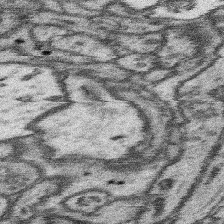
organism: Mouse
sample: Somatosensory cortex neuropil